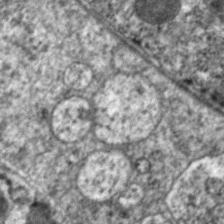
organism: C. elegans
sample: Pharynx